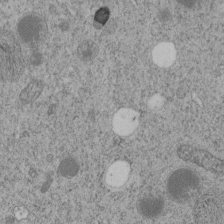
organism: C. elegans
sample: C. elegans embryo early stage